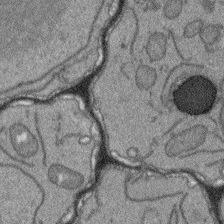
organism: Arabidopsis thaliana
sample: Root tip